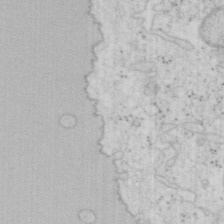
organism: Human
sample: HeLa cells